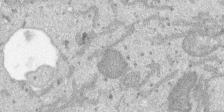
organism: Human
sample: Lung epithelial cells infected with SARS-CoV-2